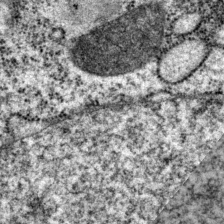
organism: P. pacificus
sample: Pharynx